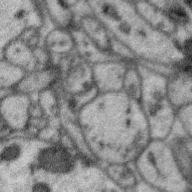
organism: Zebra finch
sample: Brain